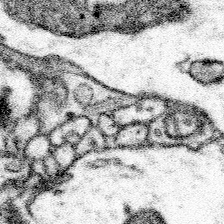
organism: Mouse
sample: Somatosensory cortex neuropil